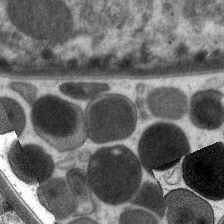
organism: C. elegans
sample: Pharynx